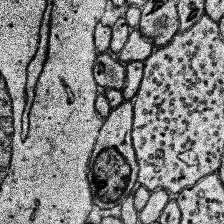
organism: Human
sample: Temporal Lobe